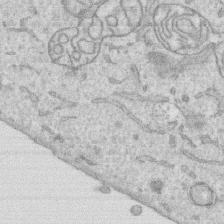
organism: Human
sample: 1205lu cells